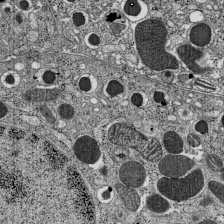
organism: C57BL Mouse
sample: Pancreatic islet